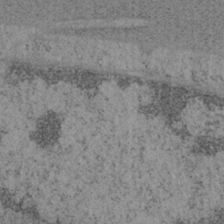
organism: Mouse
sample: OT-I killer T cells with ID8 ovarian cancer cells